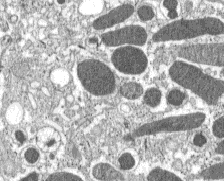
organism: C57BL Mouse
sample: Pancreatic islet